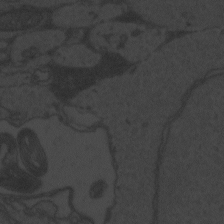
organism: Zebrafish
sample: Macrophage infected with Toxoplasma gondii